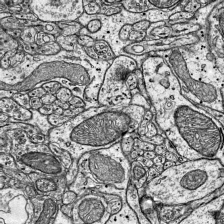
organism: Mouse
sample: Visual Cortex